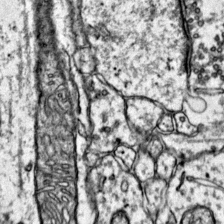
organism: Mouse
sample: Primary visual cortex